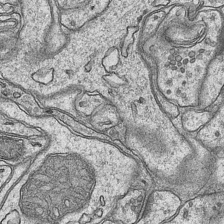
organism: Mouse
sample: CA1 Hippocampus